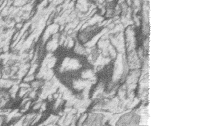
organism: Zebrafish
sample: synaptic ribbons in rod cells and cone cells